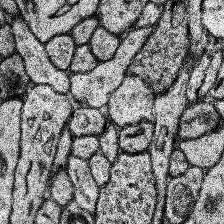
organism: Human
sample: Temporal Lobe